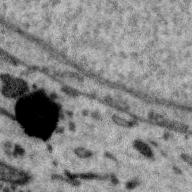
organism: Zebra finch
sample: Brain